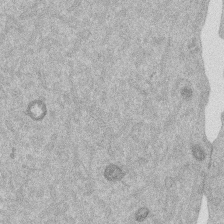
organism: Mouse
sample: Dividing mouse embryo 1 cell stage